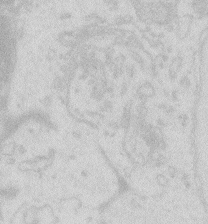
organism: Zebrafish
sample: Macrophage